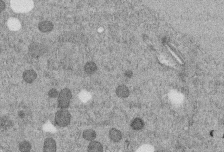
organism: C. elegans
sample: C. elegans embryo early stage